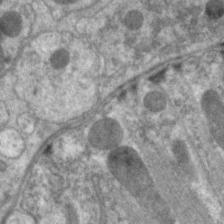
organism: C. elegans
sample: Pharynx